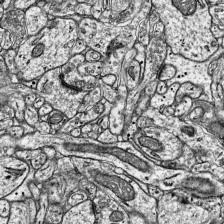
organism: Mouse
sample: Visual Cortex